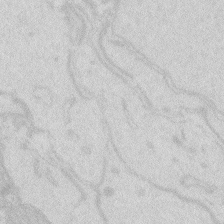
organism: Zebrafish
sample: Macrophage